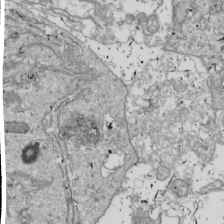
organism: Drosophila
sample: Cell division; meiosis; drosophila spermatocytes